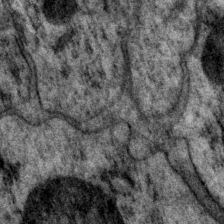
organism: P. pacificus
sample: Pharynx